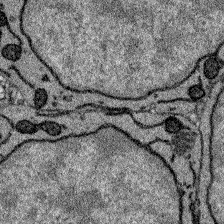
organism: Zebrafish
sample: Larval olfactory bulb